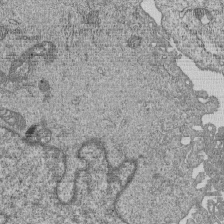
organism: Human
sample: MDA-MB-231 cells